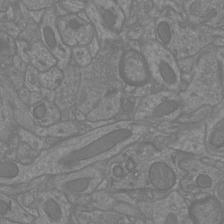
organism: Mouse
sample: Cortical neurons